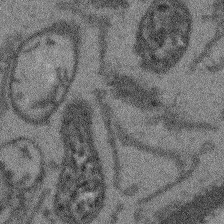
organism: Arabidopsis thaliana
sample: Root tip